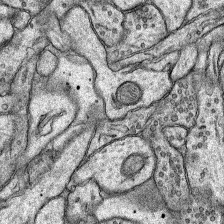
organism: Rat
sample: Hippocampus